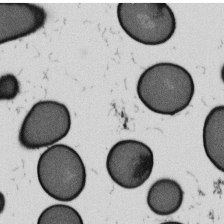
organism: B. subtilis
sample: Bacterial spore